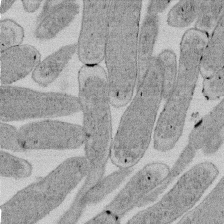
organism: E. coli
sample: Bacterial nucleoid